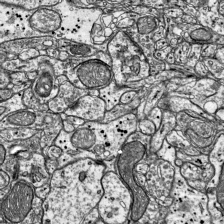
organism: Mouse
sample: Visual Cortex